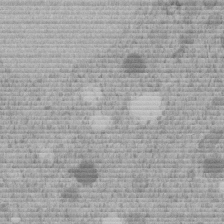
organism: C. elegans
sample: C. elegans embryo early stage